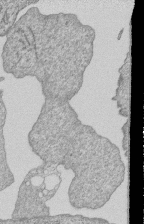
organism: Human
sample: MDA-MB-231 cells